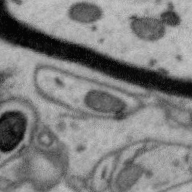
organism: Zebra finch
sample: Brain